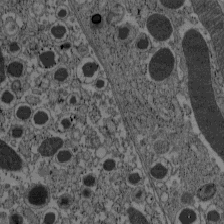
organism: C57BL Mouse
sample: Pancreatic islet